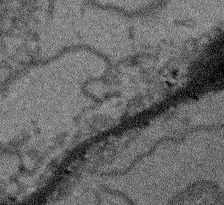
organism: Arabidopsis thaliana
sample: Root tip